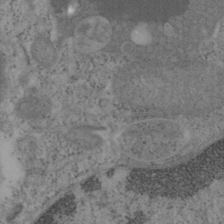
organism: Mouse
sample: OT-I killer T cells with ID8 ovarian cancer cells